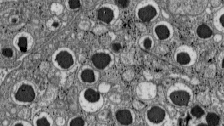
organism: C57BL Mouse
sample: Pancreatic islet